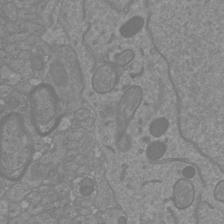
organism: Mouse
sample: Cortical neurons